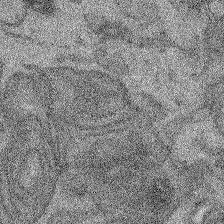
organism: Human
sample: HeLa cells